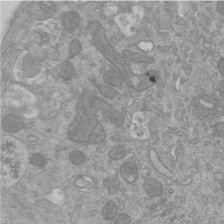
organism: Mouse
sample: ED-1 cell nuclei; centrioles